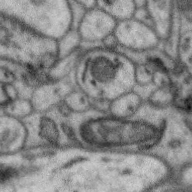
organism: Zebra finch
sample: Brain